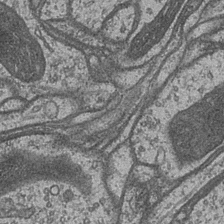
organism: Drosophila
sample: Optic medulla